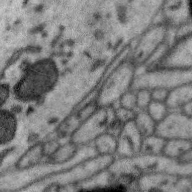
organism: Zebra finch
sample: Brain